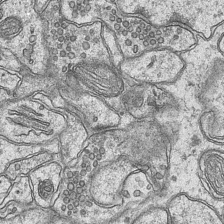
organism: Mouse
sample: CA1 Hippocampus